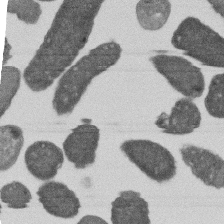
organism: E. coli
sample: Bacterial nucleoid